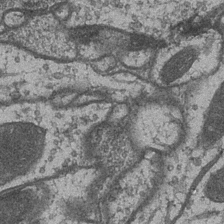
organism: Drosophila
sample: Optic medulla